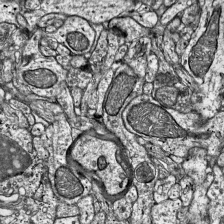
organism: Mouse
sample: Visual Cortex